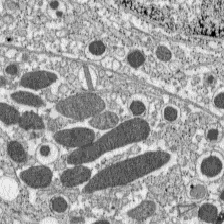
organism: C57BL Mouse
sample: Pancreatic islet